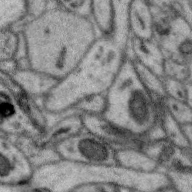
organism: Zebra finch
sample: Brain